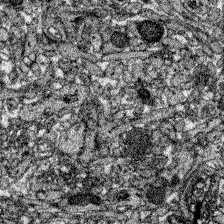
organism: Zebrafish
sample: Larval olfactory bulb